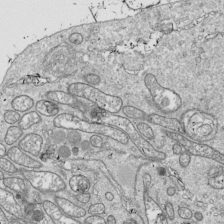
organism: Drosophila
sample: Cell division; meiosis; drosophila spermatocytes